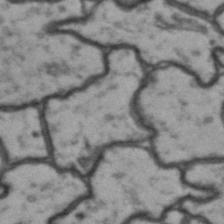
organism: Drosophila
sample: Brain